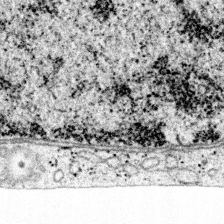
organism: Human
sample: HeLa cells